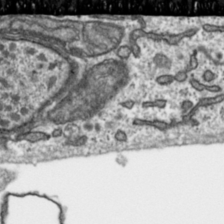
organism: Toxoplasma gondii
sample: Parasites in a vacuole inside a host cell